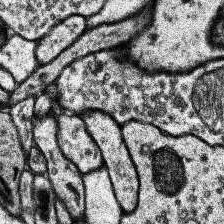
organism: Human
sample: Temporal Lobe